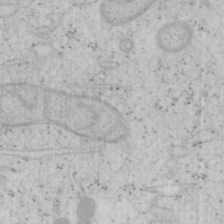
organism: Human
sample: HeLa cells